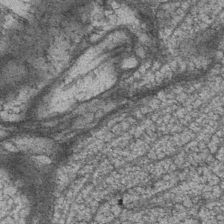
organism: Drosophila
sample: Optic medulla